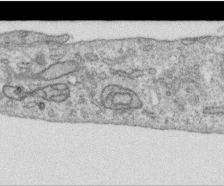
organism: Human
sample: Centriole in RPE cells